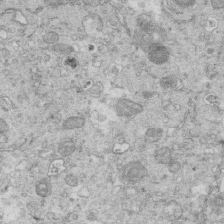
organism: Mouse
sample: Multiciliated cells